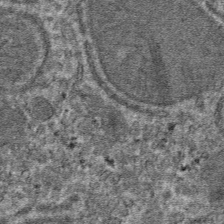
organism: Mouse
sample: Mouse hepatocytes